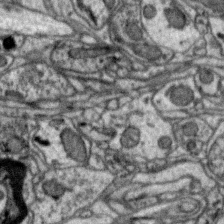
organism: Zebra finch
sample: Brain